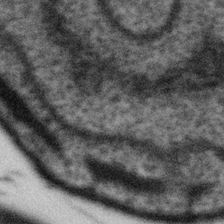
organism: Gemmata obscuriglobus